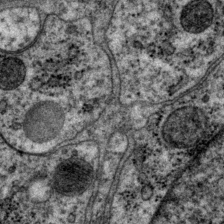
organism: P. pacificus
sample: Pharynx